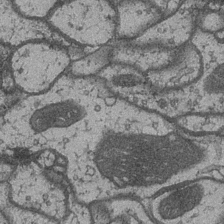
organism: Drosophila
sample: Optic medulla